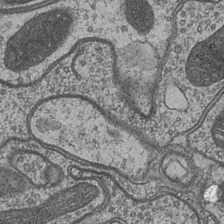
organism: Drosophila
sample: Optic medulla